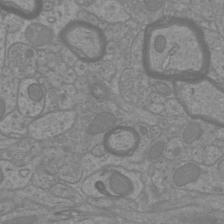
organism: Mouse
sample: Cortical neurons